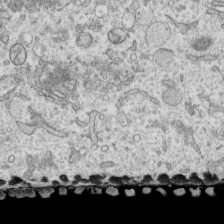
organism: Human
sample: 1205lu cells